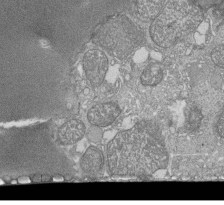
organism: Tetrahymena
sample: Cilia in tetrahymena